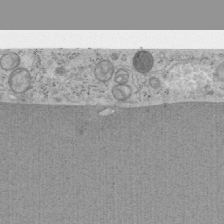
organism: Human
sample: HeLa cells